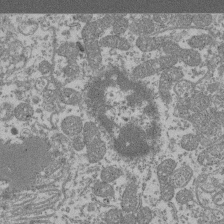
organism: Mouse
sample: Glomerulus